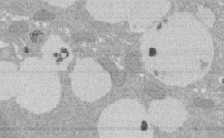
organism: Rat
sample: Salivary granule